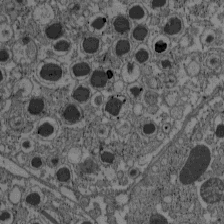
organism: C57BL Mouse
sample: Pancreatic islet